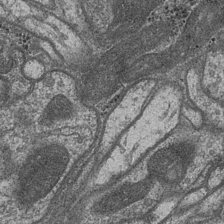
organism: Drosophila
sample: Optic medulla